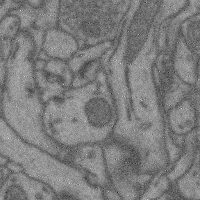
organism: Mouse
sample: Cerebral cortex